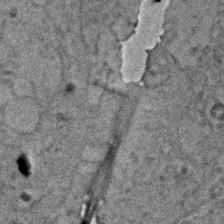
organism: Zebrafish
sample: Zebrafish embryo